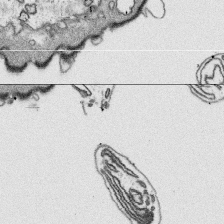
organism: Platynereis dumerilii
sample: Parapodia